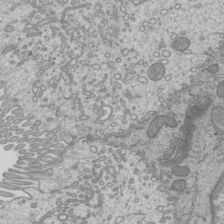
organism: Mouse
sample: Cilia; mouse epididymis